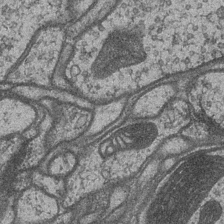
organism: Drosophila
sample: Optic medulla